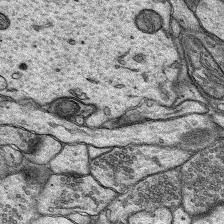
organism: Rat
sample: Hippocampus